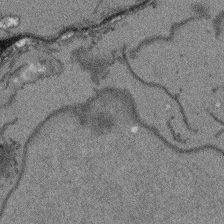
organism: Arabidopsis thaliana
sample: Root tip